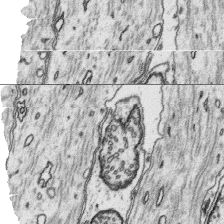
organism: Platynereis dumerilii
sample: Parapodia